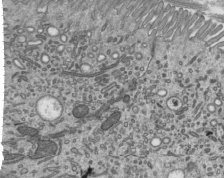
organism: Mouse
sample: Mouse epididymis efferent ductule cilia